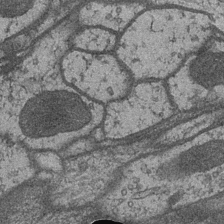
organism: Drosophila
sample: Optic medulla